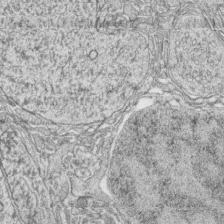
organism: Zebrafish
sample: synaptic ribbons in rod cells and cone cells